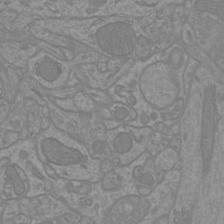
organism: Mouse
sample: Cortical neurons